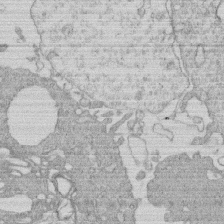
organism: Human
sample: Macrophage cells